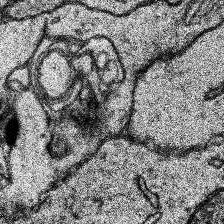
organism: Human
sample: Temporal Lobe